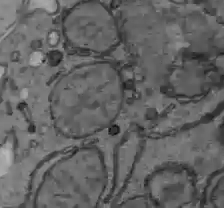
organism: C57BL Mouse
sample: Liver